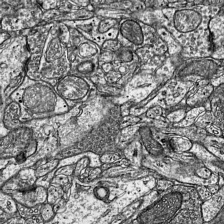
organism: Mouse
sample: Visual Cortex